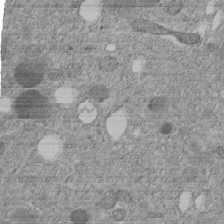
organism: C. elegans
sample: C. elegans embryo early stage